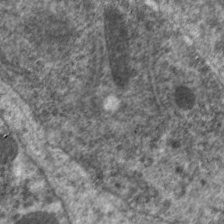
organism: C. elegans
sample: Pharynx